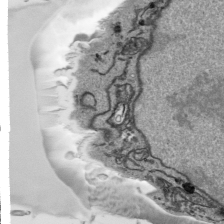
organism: Human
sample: Mitochondria in HCT116 cells